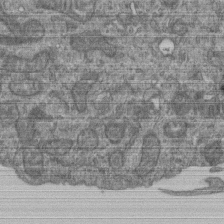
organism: Human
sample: Retinal organoid Rod and Cone cells